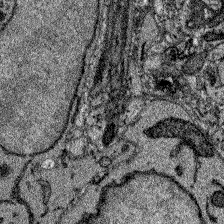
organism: Zebrafish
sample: Larval olfactory bulb